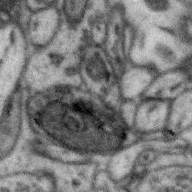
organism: Zebra finch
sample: Brain